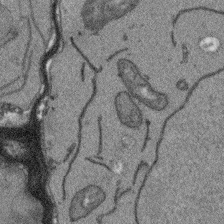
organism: Arabidopsis thaliana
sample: Root tip